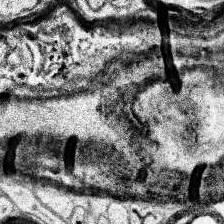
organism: Human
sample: Temporal Lobe